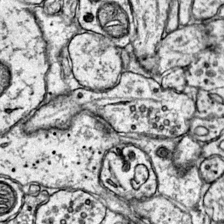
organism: Mouse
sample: Primary visual cortex